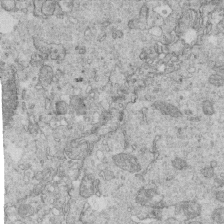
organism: Mouse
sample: Multiciliated cells